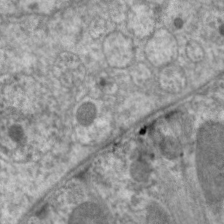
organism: C. elegans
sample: Pharynx